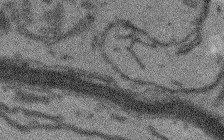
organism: Arabidopsis thaliana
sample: Root tip